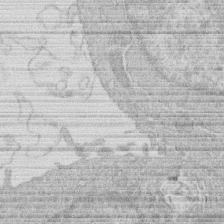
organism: Human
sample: Macrophage cells